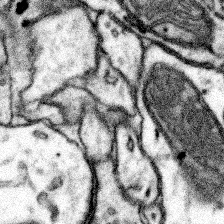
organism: Mouse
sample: Somatosensory cortex neuropil